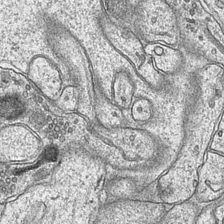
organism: Mouse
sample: CA1 Hippocampus